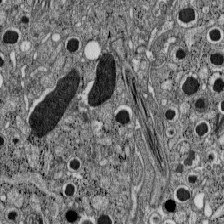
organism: C57BL Mouse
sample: Pancreatic islet